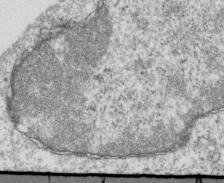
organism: Mouse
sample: Activated OT-1 CD8+ T cells